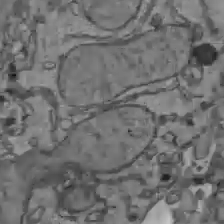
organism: C57BL Mouse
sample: Liver